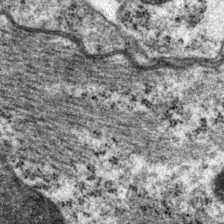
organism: P. pacificus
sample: Pharynx